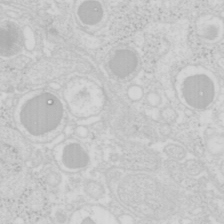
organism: Mouse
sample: Pancreas